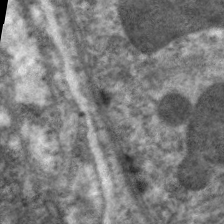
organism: C. elegans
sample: Pharynx